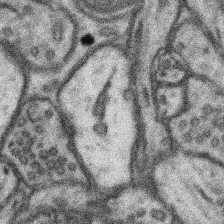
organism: Mouse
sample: Somatosensory cortex neuropil